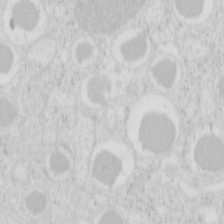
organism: Mouse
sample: Pancreas